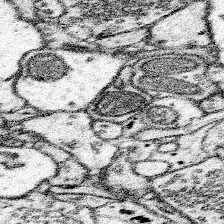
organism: Mouse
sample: Somatosensory cortex neuropil